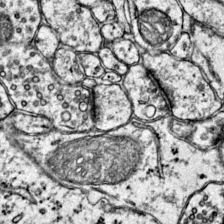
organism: Mouse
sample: Primary visual cortex